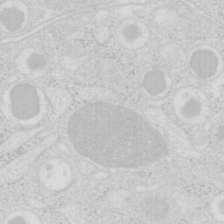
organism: Mouse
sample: Pancreas